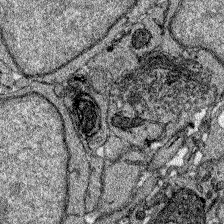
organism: Zebrafish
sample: Larval olfactory bulb